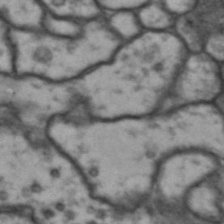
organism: Drosophila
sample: Brain